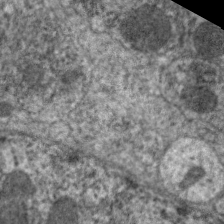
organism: C. elegans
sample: Pharynx